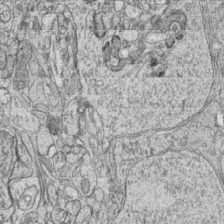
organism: Zebrafish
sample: synaptic ribbons in rod cells and cone cells